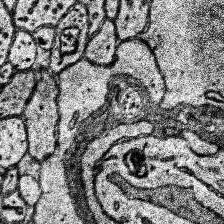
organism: Human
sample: Temporal Lobe